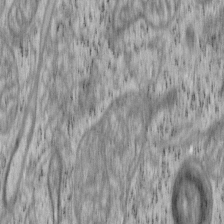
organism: Human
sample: HeLa cells